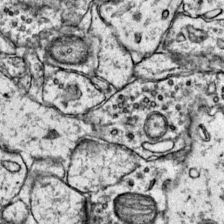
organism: Mouse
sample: Primary visual cortex